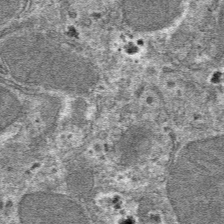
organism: Mouse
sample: Mouse hepatocytes